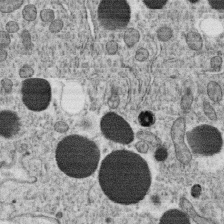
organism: C. elegans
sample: C. elegans oocyte; sperm cells